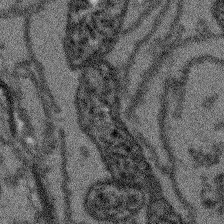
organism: Arabidopsis thaliana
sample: Root tip